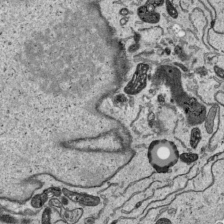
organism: Human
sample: Mitochondria in HCT116 cells